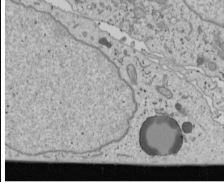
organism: Human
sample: Mitochondria in U2OS cells